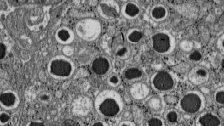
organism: C57BL Mouse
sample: Pancreatic islet